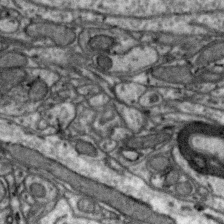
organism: Zebra finch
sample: Brain